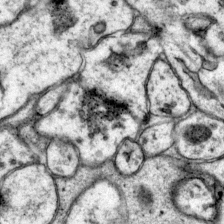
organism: Mouse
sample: Primary visual cortex